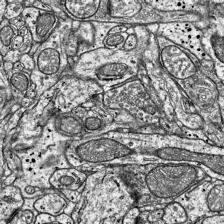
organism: Mouse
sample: Visual Cortex